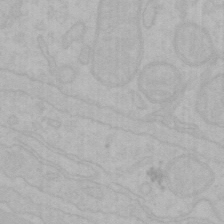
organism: Mouse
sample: Choroid plexus